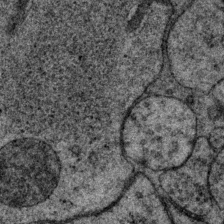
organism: P. pacificus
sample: Pharynx